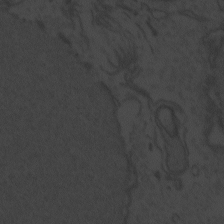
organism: Zebrafish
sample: Macrophage infected with Toxoplasma gondii